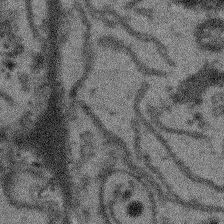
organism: Arabidopsis thaliana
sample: Root tip